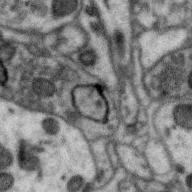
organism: Zebra finch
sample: Brain